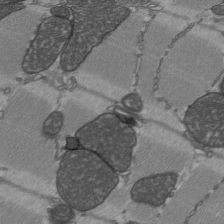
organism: C57BL Mouse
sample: Heart